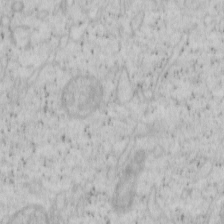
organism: Human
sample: HeLa cells